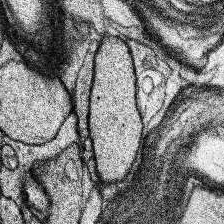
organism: Human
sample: Temporal Lobe